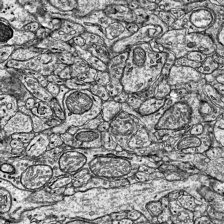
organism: Mouse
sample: Visual Cortex